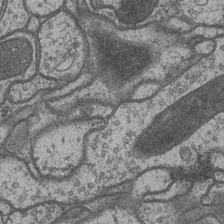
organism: Drosophila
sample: Optic medulla